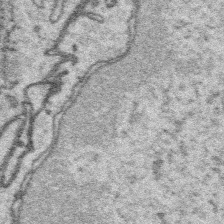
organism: Platynereis dumerilii